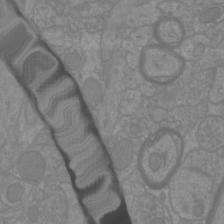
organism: Mouse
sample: Cortical neurons